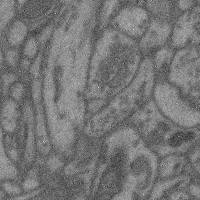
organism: Mouse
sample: Cerebral cortex